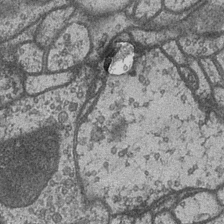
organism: Drosophila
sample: Optic medulla